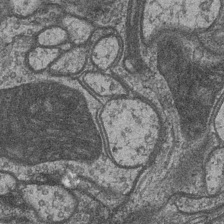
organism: Drosophila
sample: Optic medulla